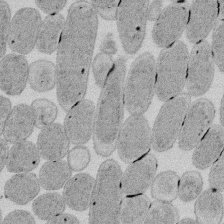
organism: E. coli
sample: Bacterial nucleoid